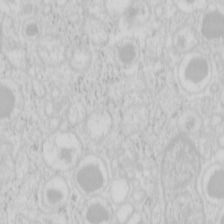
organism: Mouse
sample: Pancreas